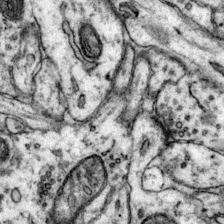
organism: Mouse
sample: Primary visual cortex